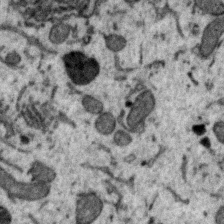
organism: Zebra finch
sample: Brain